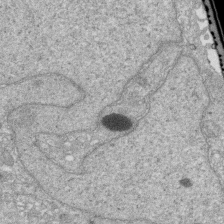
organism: Human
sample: HeLa cell HIV synapse